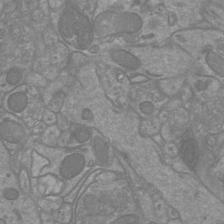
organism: Mouse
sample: Cortical neurons